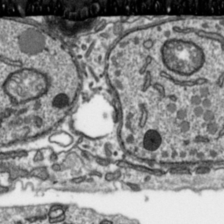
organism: Toxoplasma gondii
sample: Parasites in a vacuole inside a host cell